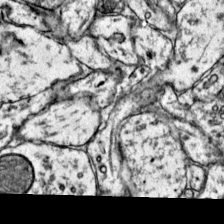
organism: Mouse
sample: Primary visual cortex